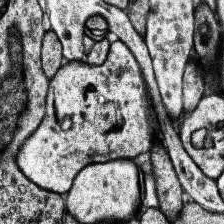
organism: Human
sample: Temporal Lobe